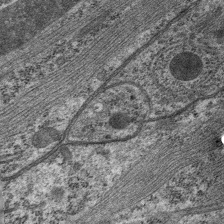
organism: C. elegans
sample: Pharynx